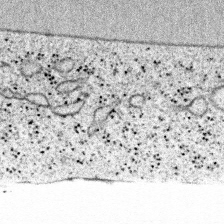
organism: Human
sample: HeLa cells